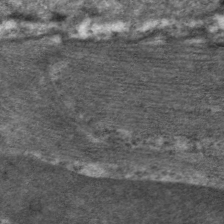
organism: C. elegans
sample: Pharynx